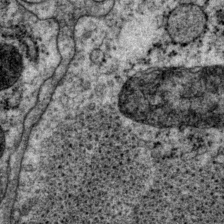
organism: P. pacificus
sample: Pharynx